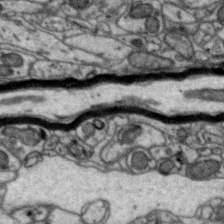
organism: Zebra finch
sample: Brain